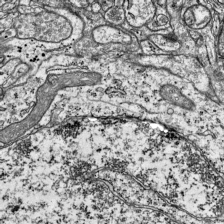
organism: Mouse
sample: Visual Cortex